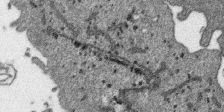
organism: Human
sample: Lung epithelial cells infected with SARS-CoV-2